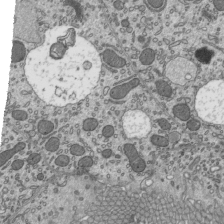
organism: Mouse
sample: Mouse epididymis efferent ductule cilia